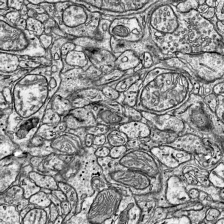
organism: Mouse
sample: Visual Cortex